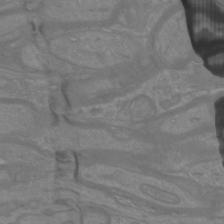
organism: Mouse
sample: Cortical neurons